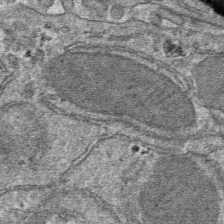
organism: Mouse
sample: Mouse hepatocytes